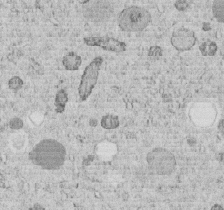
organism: C. elegans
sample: C. elegans embryo early stage